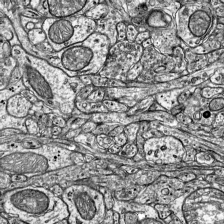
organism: Mouse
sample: Visual Cortex